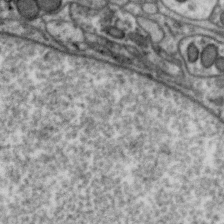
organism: Zebra finch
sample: Brain